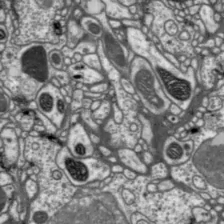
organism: Drosophila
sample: Protocerebral bridge